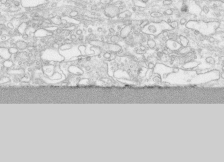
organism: Human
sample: CRL-1474